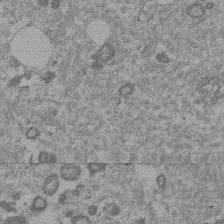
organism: Mouse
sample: Dividing mouse embryo 1 cell stage